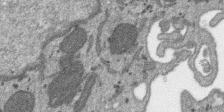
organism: Human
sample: Lung epithelial cells infected with SARS-CoV-2